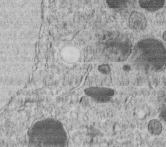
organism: C. elegans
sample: C. elegans embryo early stage